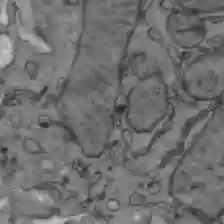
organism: C57BL Mouse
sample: Liver